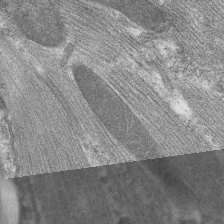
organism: C. elegans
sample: Pharynx